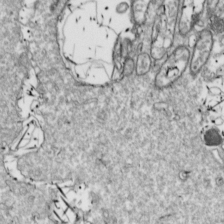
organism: Drosophila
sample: Cell division; meiosis; drosophila spermatocytes